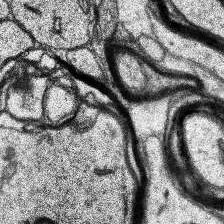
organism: Human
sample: Temporal Lobe